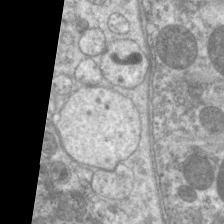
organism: C. elegans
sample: Pharynx